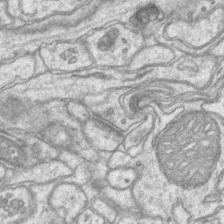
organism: Mouse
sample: CA1 Hippocampus